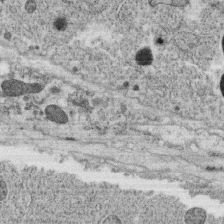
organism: C. elegans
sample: C. elegans oocyte; sperm cells